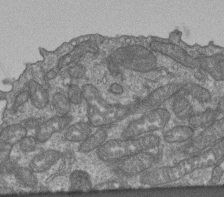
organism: Human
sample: Retinal organoid Rod and Cone cells